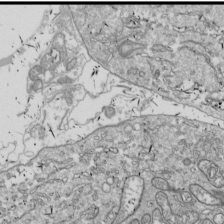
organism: Drosophila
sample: Cell division; meiosis; drosophila spermatocytes